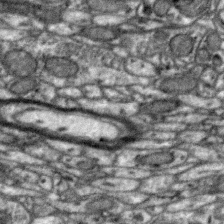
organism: Zebra finch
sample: Brain